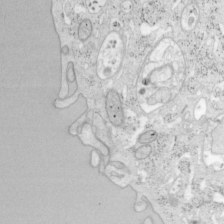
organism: Mouse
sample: OT-I killer T cells with ID8 ovarian cancer cells